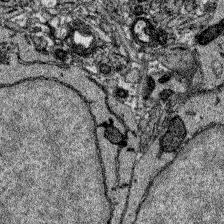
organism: Zebrafish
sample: Larval olfactory bulb